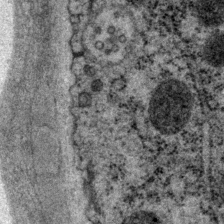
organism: P. pacificus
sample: Pharynx